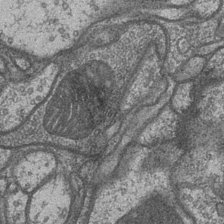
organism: Drosophila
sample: Optic medulla